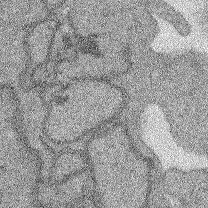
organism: Human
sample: HeLa cells